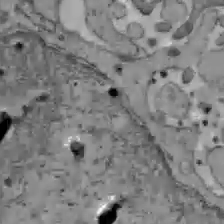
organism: C57BL Mouse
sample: Liver